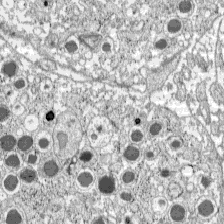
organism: C57BL Mouse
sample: Pancreatic islet